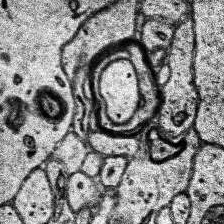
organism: Human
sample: Temporal Lobe